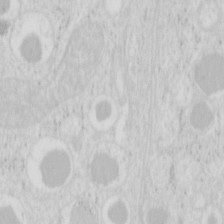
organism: Mouse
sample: Pancreas